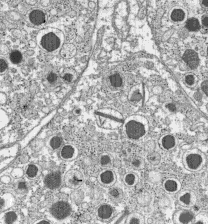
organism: C57BL Mouse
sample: Pancreatic islet